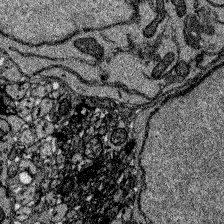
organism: Zebrafish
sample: Larval olfactory bulb